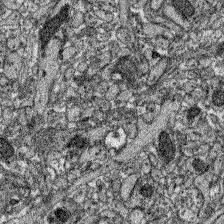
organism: Zebrafish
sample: Larval olfactory bulb